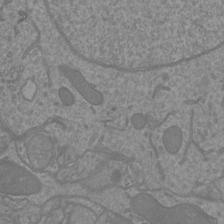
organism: Mouse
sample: Cortical neurons